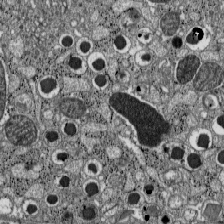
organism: C57BL Mouse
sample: Pancreatic islet